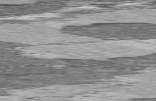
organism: C57BL Mouse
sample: Heart